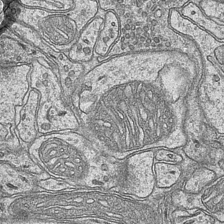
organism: Mouse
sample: CA1 Hippocampus